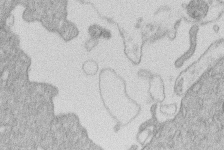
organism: Human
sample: Macrophage cells